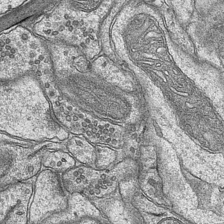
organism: Mouse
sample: CA1 Hippocampus